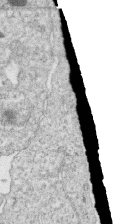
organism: Human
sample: HeLa cell HIV synapse